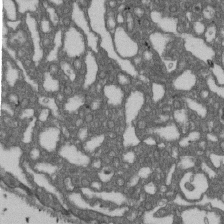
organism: Drosophila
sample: Nephrocyte